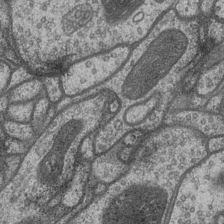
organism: Drosophila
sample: Optic medulla